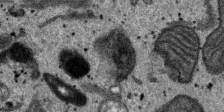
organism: Human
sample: Lung epithelial cells, uninfected (mock) control